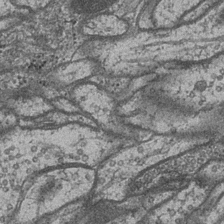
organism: Drosophila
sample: Optic medulla